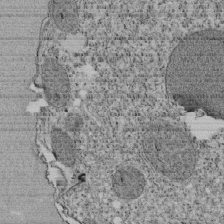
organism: Tetrahymena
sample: Cilia in tetrahymena